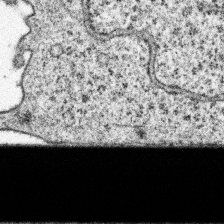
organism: Human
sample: HeLa cells